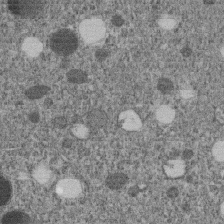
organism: C. elegans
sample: C. elegans embryo early stage